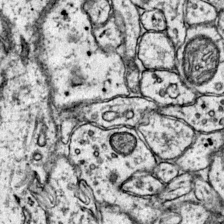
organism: Mouse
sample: Primary visual cortex